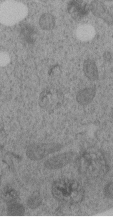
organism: C. elegans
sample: C. elegans embryo early stage